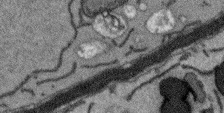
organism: Arabidopsis thaliana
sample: Root tip